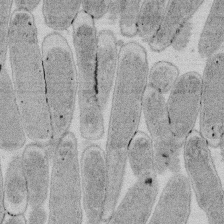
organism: E. coli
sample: Bacterial nucleoid